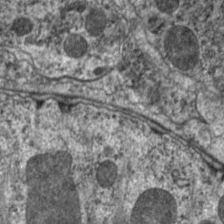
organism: C. elegans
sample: Pharynx